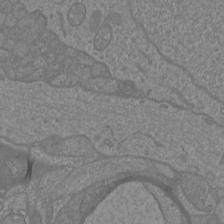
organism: Mouse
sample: Cortical neurons